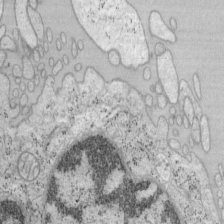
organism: Mouse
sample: OT-I killer T cells with ID8 ovarian cancer cells